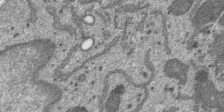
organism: Human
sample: Lung epithelial cells infected with SARS-CoV-2